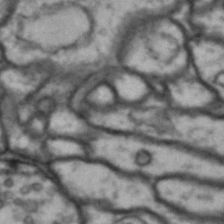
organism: Drosophila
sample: Brain